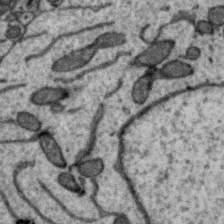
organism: Zebra finch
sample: Brain